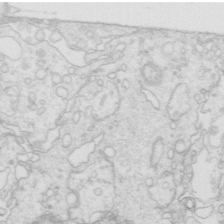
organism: Mouse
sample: Multiciliated cells